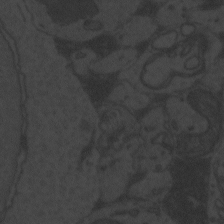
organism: Zebrafish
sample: Macrophage infected with Toxoplasma gondii